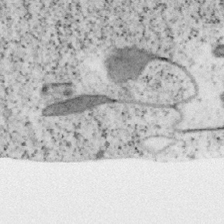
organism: Mouse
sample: OT-I killer T cells with ID8 ovarian cancer cells